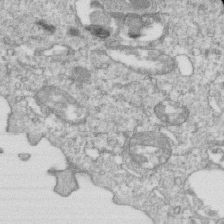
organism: Mouse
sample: Activated OT-1 CD8+ T cells